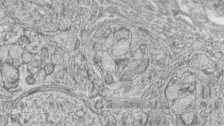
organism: Zebrafish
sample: synaptic ribbons in rod cells and cone cells